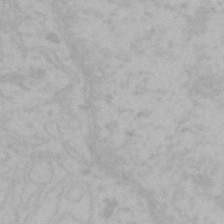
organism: Mouse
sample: Choroid plexus